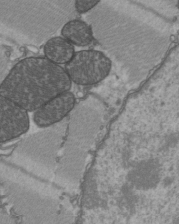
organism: C57BL Mouse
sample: Heart